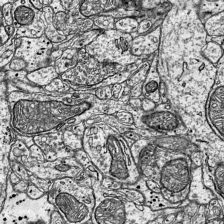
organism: Mouse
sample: Visual Cortex